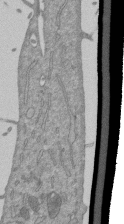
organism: Mouse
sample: ED-1 cell nuclei; centrioles